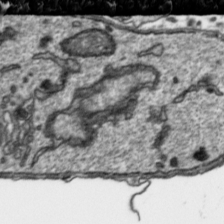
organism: Toxoplasma gondii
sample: Parasites in a vacuole inside a host cell